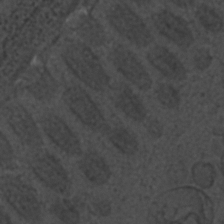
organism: C. elegans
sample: C. elegans embryo